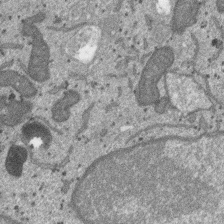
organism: Human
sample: Lung epithelial cells infected with SARS-CoV-2